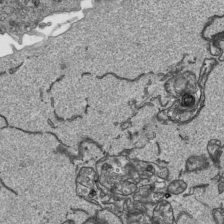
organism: Human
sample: Mitochondria in HCT116 cells